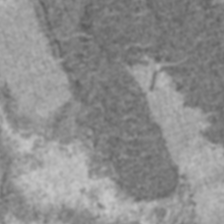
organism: C57BL Mouse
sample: Heart